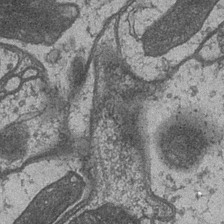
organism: Drosophila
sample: Optic medulla